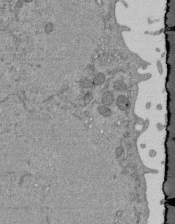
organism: Mouse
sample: ED-1 cell nuclei; centrioles